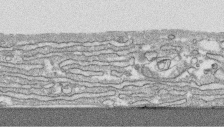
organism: Human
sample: CRL-1474